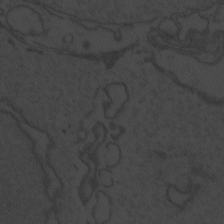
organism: Zebrafish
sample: Macrophage infected with Toxoplasma gondii